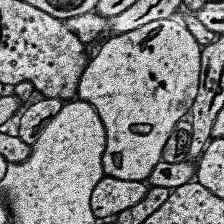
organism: Human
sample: Temporal Lobe